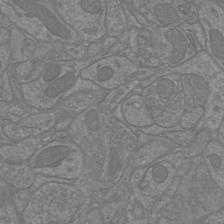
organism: Mouse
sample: Cortical neurons